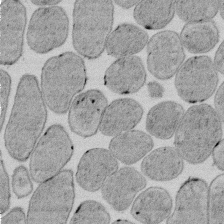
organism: E. coli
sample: Bacterial nucleoid